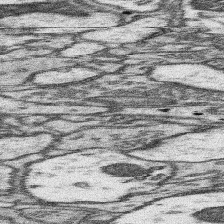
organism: Mouse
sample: Somatosensory cortex neuropil